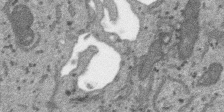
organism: Human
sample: Lung epithelial cells infected with SARS-CoV-2